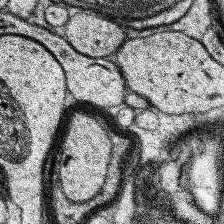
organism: Human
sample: Temporal Lobe